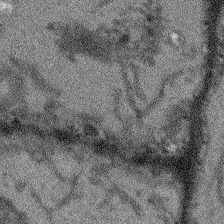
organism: Arabidopsis thaliana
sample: Root tip